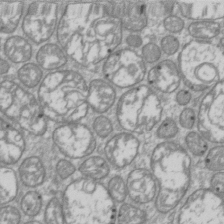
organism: Drosophila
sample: Cell division; meiosis; drosophila spermatocytes